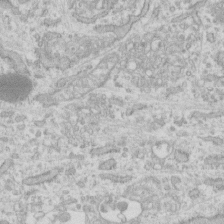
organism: Human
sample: Fibroblast cells